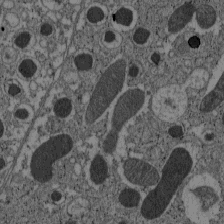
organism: C57BL Mouse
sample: Pancreatic islet